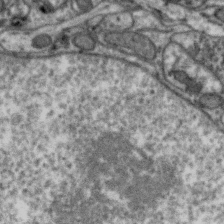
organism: Zebra finch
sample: Brain